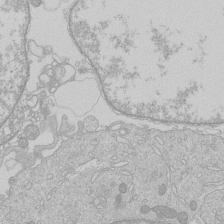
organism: Human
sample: Macrophage cells